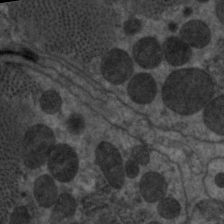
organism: C. elegans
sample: Pharynx